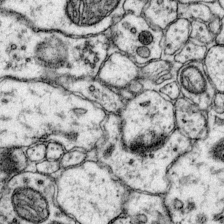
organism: Mouse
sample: Primary visual cortex